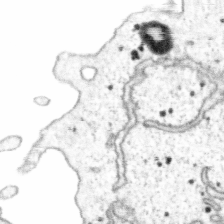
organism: Human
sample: HeLa cells